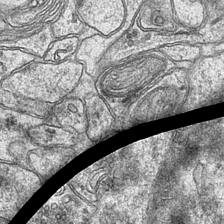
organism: Mouse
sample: CA1 Hippocampus